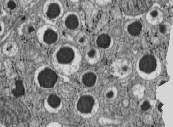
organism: C57BL Mouse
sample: Pancreatic islet